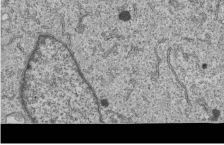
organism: Human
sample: MDA-MB-231 cells